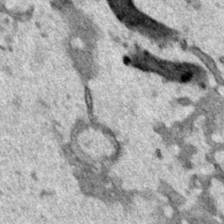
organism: Human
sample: Mitochondria in HCT116 cells